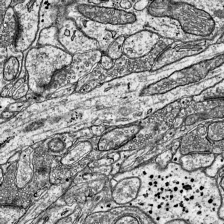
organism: Mouse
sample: Visual Cortex